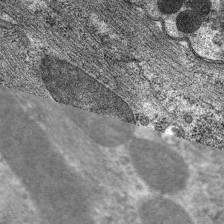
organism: C. elegans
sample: Pharynx